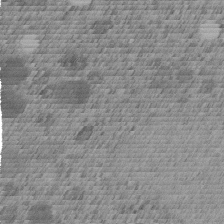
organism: C. elegans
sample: C. elegans embryo early stage